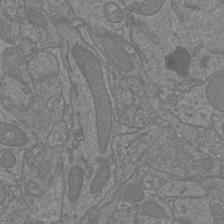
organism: Mouse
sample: Cortical neurons